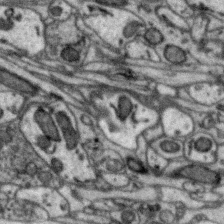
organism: Zebra finch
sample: Brain